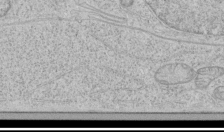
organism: Human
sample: Mitochondria in HCT116 cells